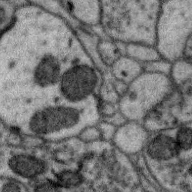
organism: Zebra finch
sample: Brain